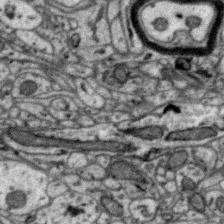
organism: Zebra finch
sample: Brain